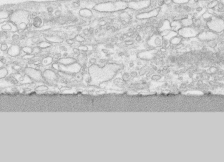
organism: Human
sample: CRL-1474